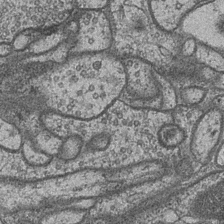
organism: Drosophila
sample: Optic medulla